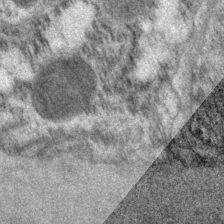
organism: P. pacificus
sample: Pharynx